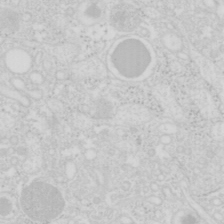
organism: Mouse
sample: Pancreas